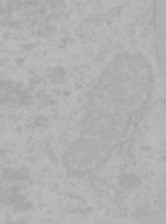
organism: Mouse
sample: Choroid plexus